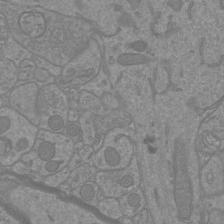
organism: Mouse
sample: Cortical neurons